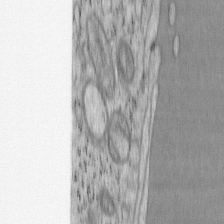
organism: Human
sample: HeLa cells